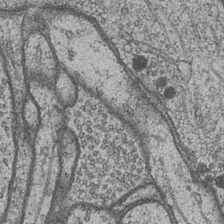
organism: Drosophila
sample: Optic medulla